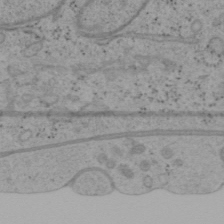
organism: Human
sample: HeLa cells